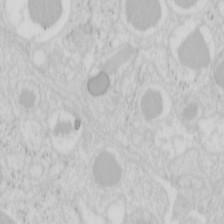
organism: Mouse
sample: Pancreas